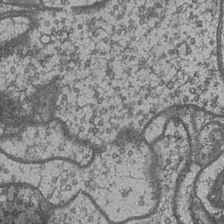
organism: Drosophila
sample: Optic medulla